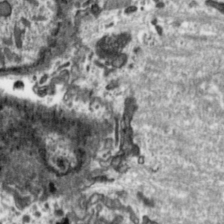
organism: Toxoplasma gondii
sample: Parasites in a vacuole inside a host cell